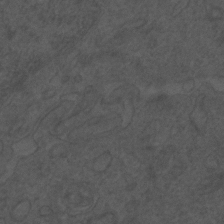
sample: Trachea